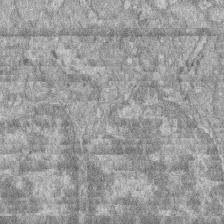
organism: Zebrafish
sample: Cilia; retinal pigment epithelium